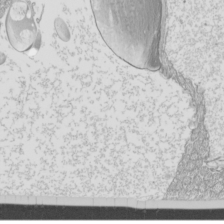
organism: Mouse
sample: Cilia; mouse epididymis